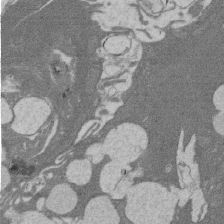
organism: Rat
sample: Salivary granule